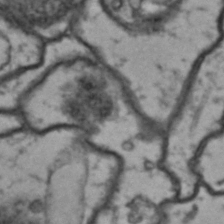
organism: Drosophila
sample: Brain